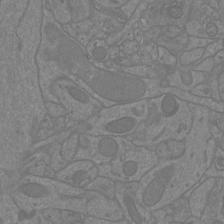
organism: Mouse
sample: Cortical neurons